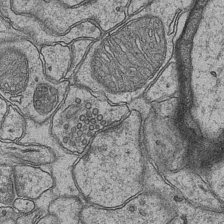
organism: Mouse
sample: CA1 Hippocampus